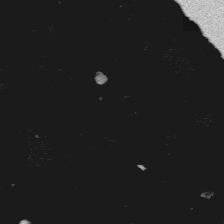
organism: Platynereis dumerilii